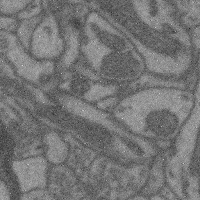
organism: Mouse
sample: Cerebral cortex